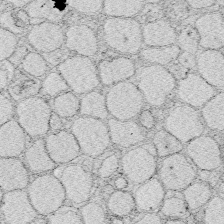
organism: Zebrafish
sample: Whole-Brain